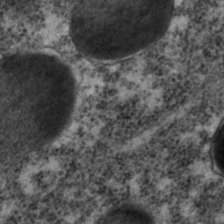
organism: C. elegans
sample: C. elegans embryo